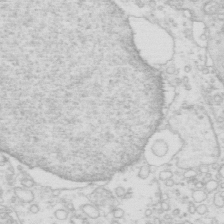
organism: Mouse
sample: Multiciliated cells